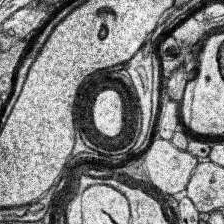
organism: Human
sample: Temporal Lobe